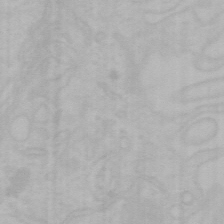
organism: Mouse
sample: Choroid plexus